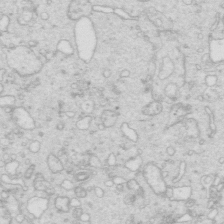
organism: Mouse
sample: Multiciliated cells